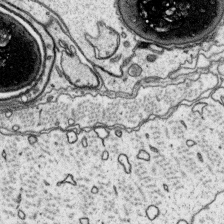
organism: Platynereis dumerilii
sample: Parapodia